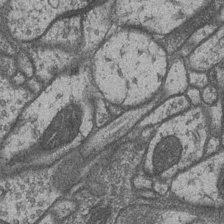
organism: Drosophila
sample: Optic medulla